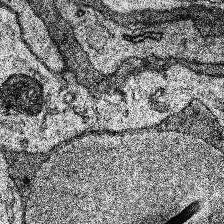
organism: Human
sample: Temporal Lobe